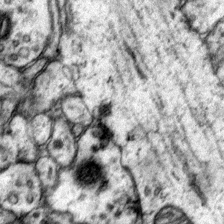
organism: Mouse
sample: Primary visual cortex